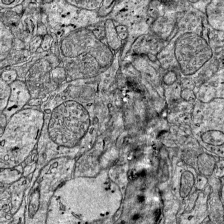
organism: Mouse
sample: Visual Cortex